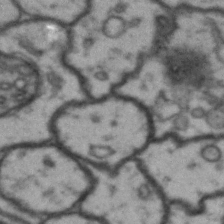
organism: Drosophila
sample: Brain